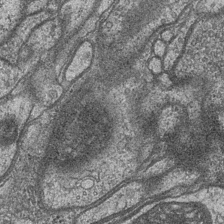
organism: Drosophila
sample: Optic medulla